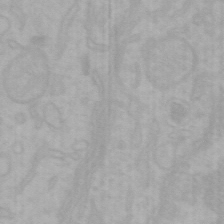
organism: Mouse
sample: Choroid plexus